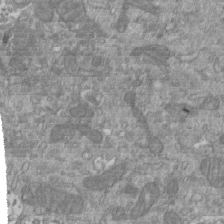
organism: Mouse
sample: ED-1 cell nuclei; centrioles